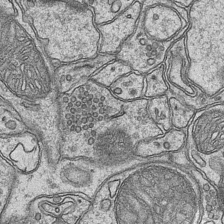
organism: Mouse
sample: CA1 Hippocampus